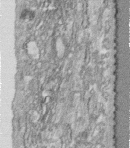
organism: Human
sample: Centriole in fibroblast cells